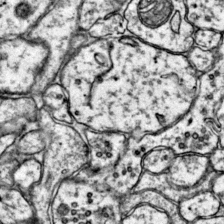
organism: Mouse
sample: Primary visual cortex